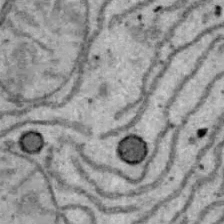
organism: Mouse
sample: Liver from an obese (ob/ob) mouse